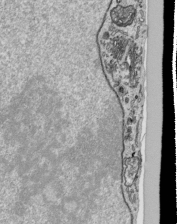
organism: Human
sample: Mitochondria in HCT116 cells